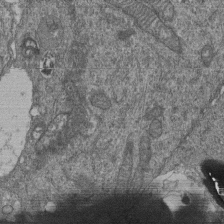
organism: Human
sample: Retinal organoid Rod and Cone cells